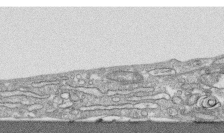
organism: Human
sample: CRL-1474